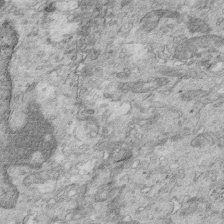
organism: Mouse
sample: Multiciliated cells